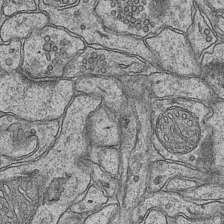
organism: Mouse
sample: CA1 Hippocampus